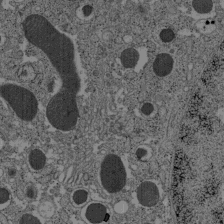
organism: C57BL Mouse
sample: Pancreatic islet